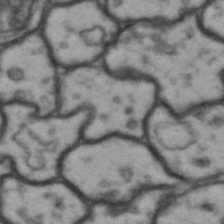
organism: Drosophila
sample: Brain